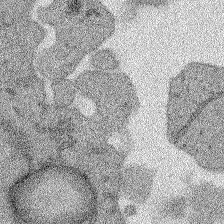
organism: Human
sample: HeLa cells